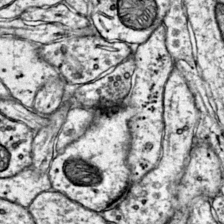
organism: Mouse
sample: Primary visual cortex